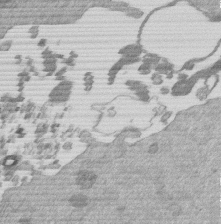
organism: Mouse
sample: Dividing mouse embryo 1 cell stage